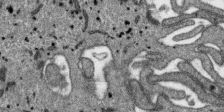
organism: Human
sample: Lung epithelial cells, uninfected (mock) control